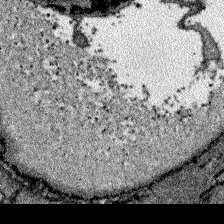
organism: Zebrafish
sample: Larval olfactory bulb